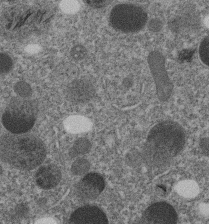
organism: C. elegans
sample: C. elegans embryo early stage